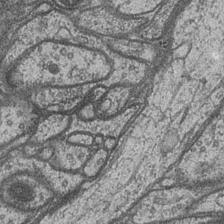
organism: Drosophila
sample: Optic medulla